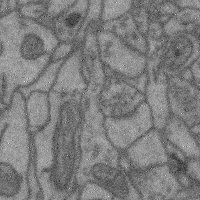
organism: Mouse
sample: Cerebral cortex